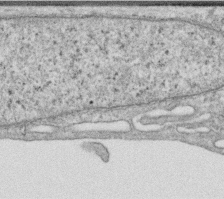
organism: Human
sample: Centriole in RPE cells